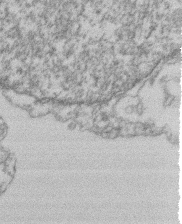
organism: Mouse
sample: T cell stromal cell synapse